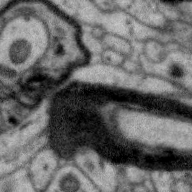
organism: Zebra finch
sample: Brain